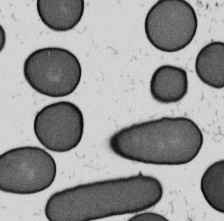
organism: B. subtilis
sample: Bacterial spore